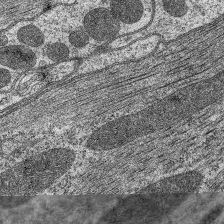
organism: C. elegans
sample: Pharynx